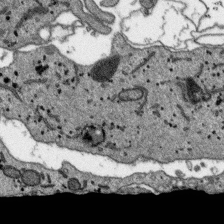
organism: Human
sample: Lung epithelial cells, uninfected (mock) control